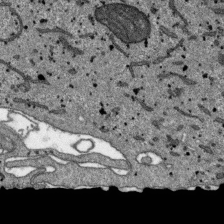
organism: Human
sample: Lung epithelial cells, uninfected (mock) control